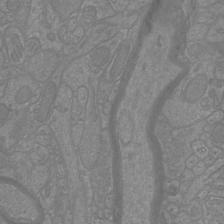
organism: Mouse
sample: Cortical neurons